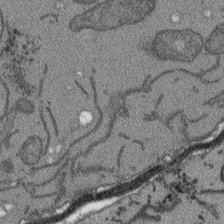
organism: Arabidopsis thaliana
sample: Root tip